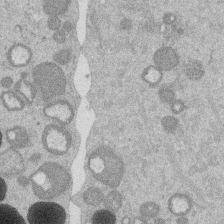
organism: Mouse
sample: Dividing mouse embryo 1 cell stage